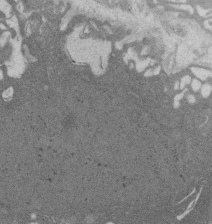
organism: Rat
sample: Salivary granule